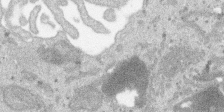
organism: Human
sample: Lung epithelial cells infected with SARS-CoV-2